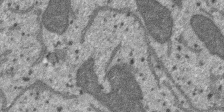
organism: Human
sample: Lung epithelial cells infected with SARS-CoV-2